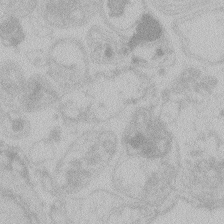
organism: Zebrafish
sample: Macrophage infected with Toxoplasma gondii